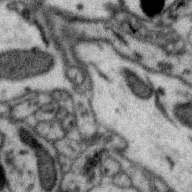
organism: Zebra finch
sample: Brain